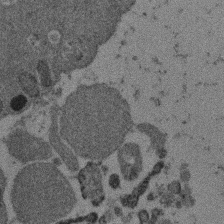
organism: Mouse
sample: Dividing mouse embryo 1 cell stage